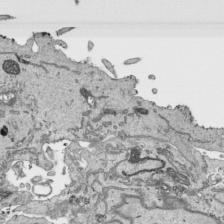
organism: Human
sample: Mitochondria in HCT116 cells